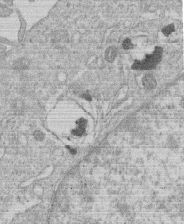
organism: Human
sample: Macrophage cells